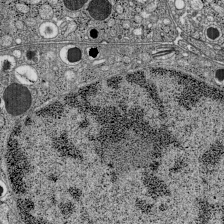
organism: C57BL Mouse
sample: Pancreatic islet